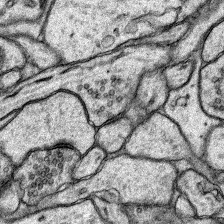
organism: Rat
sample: Hippocampus